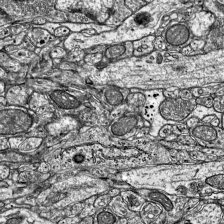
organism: Mouse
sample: Visual Cortex